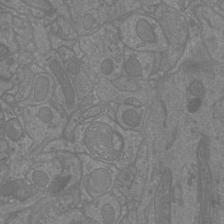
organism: Mouse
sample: Cortical neurons